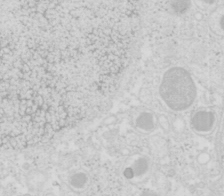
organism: Mouse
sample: Pancreas